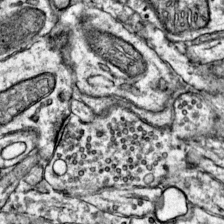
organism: Mouse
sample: Primary visual cortex